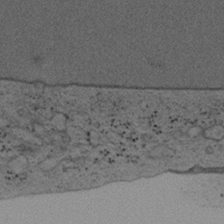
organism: Human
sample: HeLa cells